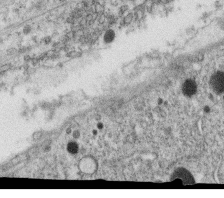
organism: C. elegans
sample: C. elegans oocyte; sperm cells